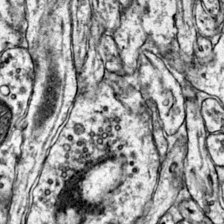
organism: Mouse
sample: Primary visual cortex